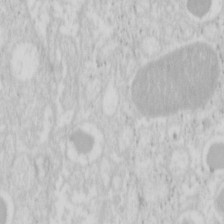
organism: Mouse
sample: Pancreas